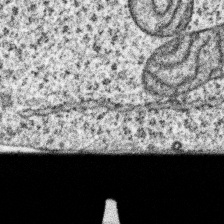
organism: Human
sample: HeLa cells